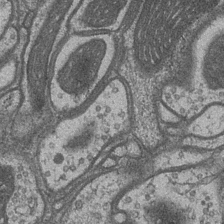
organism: Drosophila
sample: Optic medulla